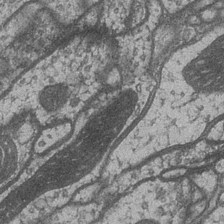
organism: Drosophila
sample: Optic medulla